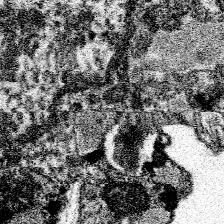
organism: Spongilla lacustris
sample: Neuroid cell